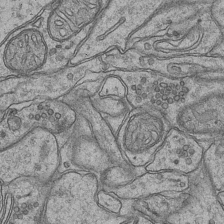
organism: Mouse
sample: CA1 Hippocampus